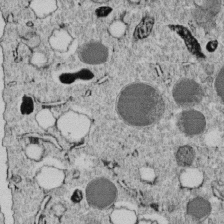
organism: C. elegans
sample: C. elegans embryo early stage